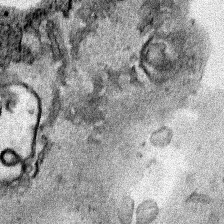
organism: Human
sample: Mitochondria in HCT116 cells